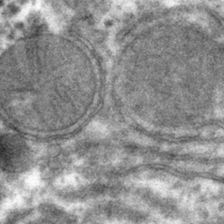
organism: Mouse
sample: Mouse hepatocytes